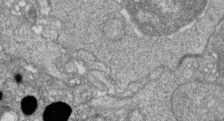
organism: Zebrafish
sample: Cilia; retinal pigment epithelium